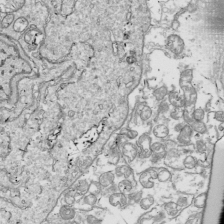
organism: Drosophila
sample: Cell division; meiosis; drosophila spermatocytes